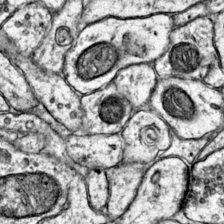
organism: Mouse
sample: Primary visual cortex